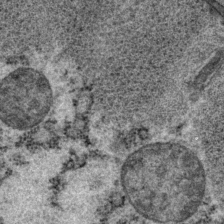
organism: P. pacificus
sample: Pharynx